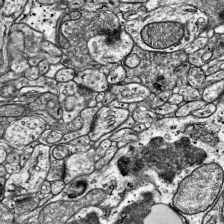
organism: Mouse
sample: Visual Cortex